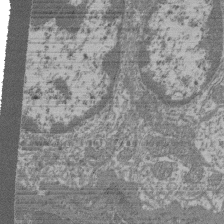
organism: Mouse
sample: Glomerulus